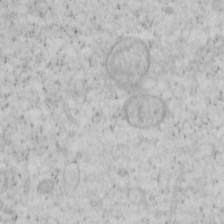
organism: Human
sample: HeLa cells